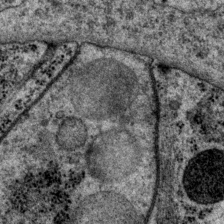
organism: P. pacificus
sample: Pharynx